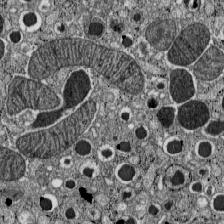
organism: C57BL Mouse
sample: Pancreatic islet